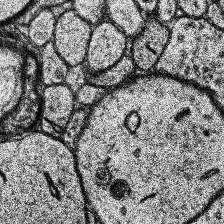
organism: Human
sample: Temporal Lobe